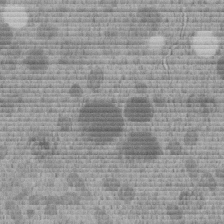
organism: C. elegans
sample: C. elegans embryo early stage